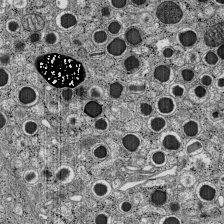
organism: C57BL Mouse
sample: Pancreatic islet